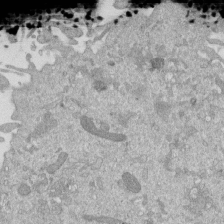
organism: Mouse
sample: ED-1 cell nuclei; centrioles